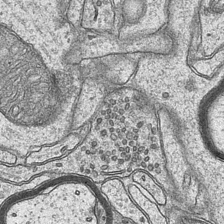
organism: Mouse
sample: CA1 Hippocampus